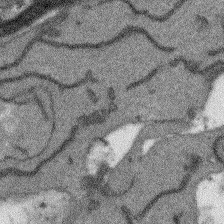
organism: Arabidopsis thaliana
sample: Root tip